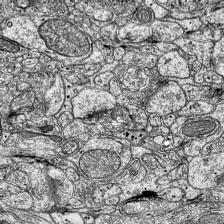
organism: Mouse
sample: Visual Cortex